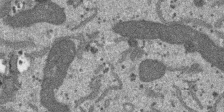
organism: Human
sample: Lung epithelial cells infected with SARS-CoV-2